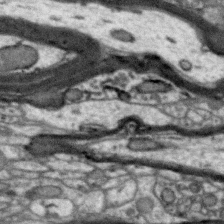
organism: Zebra finch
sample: Brain